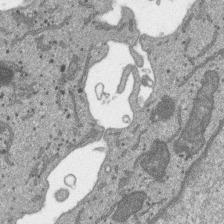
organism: Human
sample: Lung epithelial cells infected with SARS-CoV-2